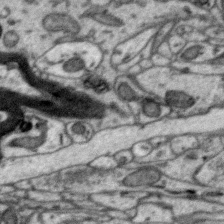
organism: Zebra finch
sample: Brain